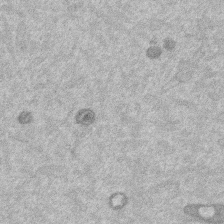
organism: Mouse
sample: Dividing mouse embryo 1 cell stage